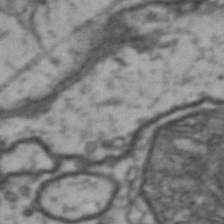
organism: Drosophila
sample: Brain